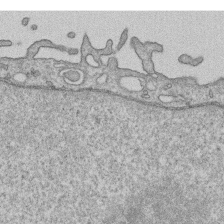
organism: Human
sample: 1205lu cells